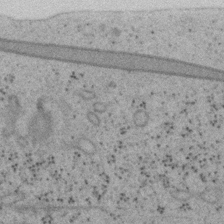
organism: Human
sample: HeLa cells